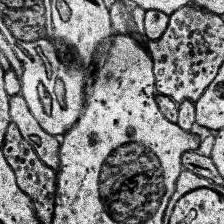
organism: Human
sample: Temporal Lobe